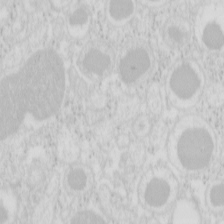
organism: Mouse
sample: Pancreas